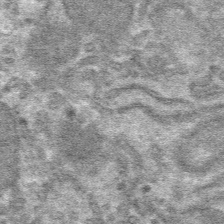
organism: Mouse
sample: Mouse hepatocytes